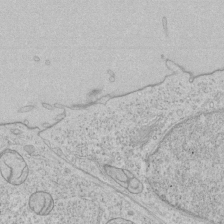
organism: Human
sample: Mitochondria in HCT116 cells